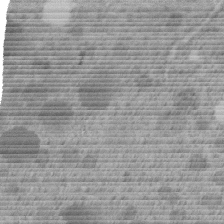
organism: C. elegans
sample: C. elegans embryo early stage